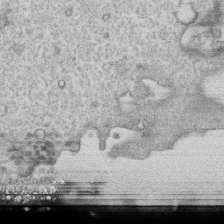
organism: Human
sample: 1205lu cells